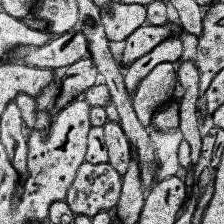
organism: Human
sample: Temporal Lobe